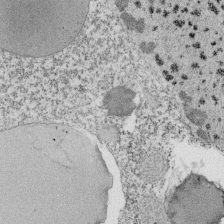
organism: Tetrahymena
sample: Cilia in tetrahymena